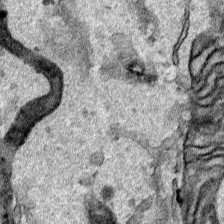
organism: Human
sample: Mitochondria in HCT116 cells